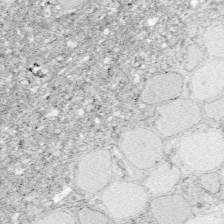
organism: Zebrafish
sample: Whole-Brain